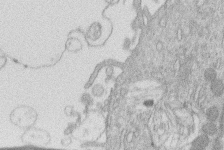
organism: Human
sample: Macrophage cells